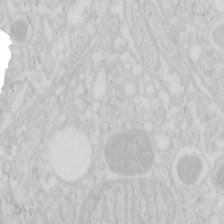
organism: Mouse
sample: Pancreas